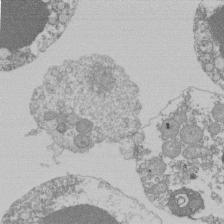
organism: Mouse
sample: Activated Pmel transgenic CD8+ T Cells